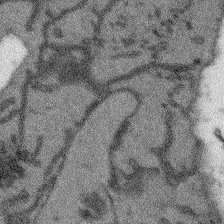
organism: Arabidopsis thaliana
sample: Root tip